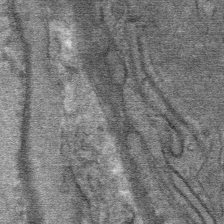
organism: Mouse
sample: Mouse Salivary gland